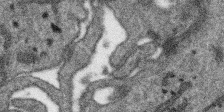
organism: Human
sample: Lung epithelial cells infected with SARS-CoV-2